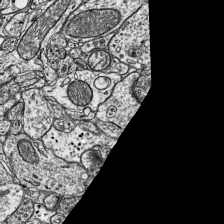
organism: Mouse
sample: Visual Cortex